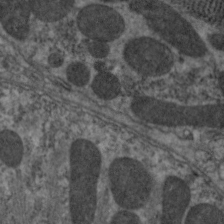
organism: C. elegans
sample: Pharynx